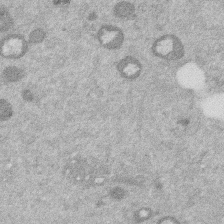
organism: Mouse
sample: Dividing mouse embryo 1 cell stage